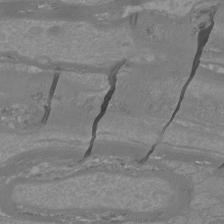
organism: Mouse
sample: Cortical neurons